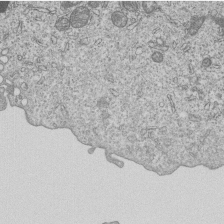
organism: Human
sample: MDA-MB-231 cells